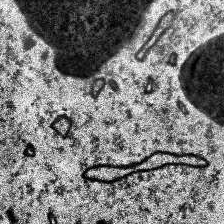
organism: Human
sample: Temporal Lobe